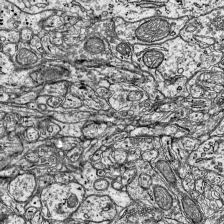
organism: Mouse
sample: Visual Cortex